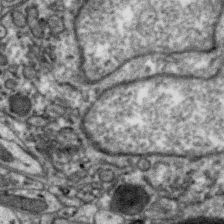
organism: Zebra finch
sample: Brain